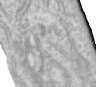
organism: Human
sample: Centriole in RPE cells